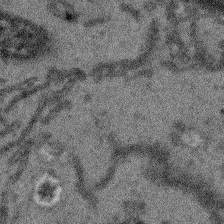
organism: Arabidopsis thaliana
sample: Root tip